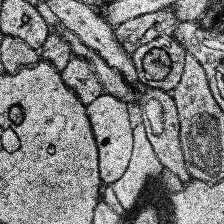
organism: Human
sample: Temporal Lobe